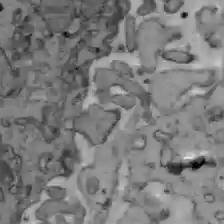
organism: C57BL Mouse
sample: Liver